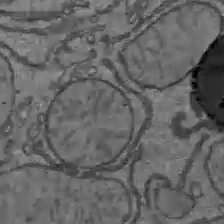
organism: C57BL Mouse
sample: Liver